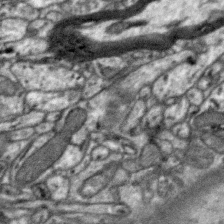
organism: Zebra finch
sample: Brain